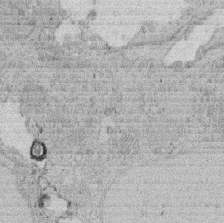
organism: Rat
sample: Salivary granule